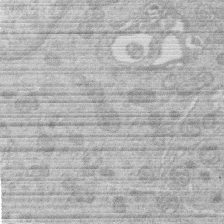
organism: Human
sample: Macrophage cells